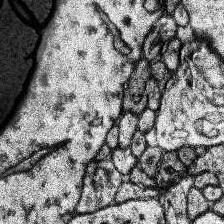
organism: Human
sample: Temporal Lobe